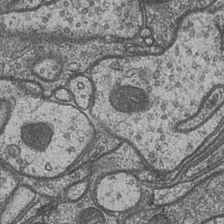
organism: Drosophila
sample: Optic medulla